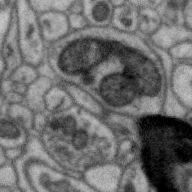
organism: Zebra finch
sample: Brain